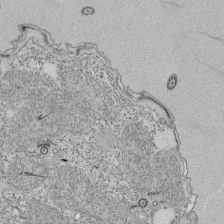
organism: Tetrahymena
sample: Cilia in tetrahymena